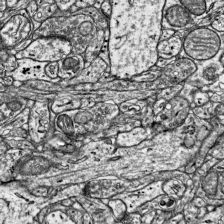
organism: Mouse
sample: Visual Cortex